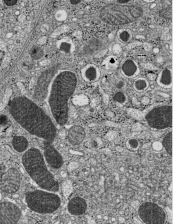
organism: C57BL Mouse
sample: Pancreatic islet